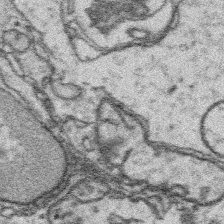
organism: Platynereis dumerilii